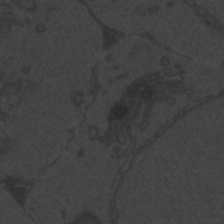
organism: Zebrafish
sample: Macrophage infected with Toxoplasma gondii